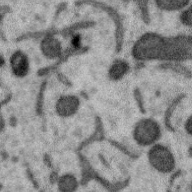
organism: Zebra finch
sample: Brain